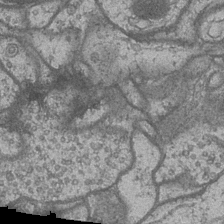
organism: Drosophila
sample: Optic medulla